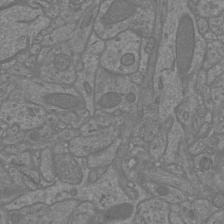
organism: Mouse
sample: Cortical neurons